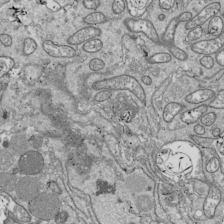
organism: Drosophila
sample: Cell division; meiosis; drosophila spermatocytes